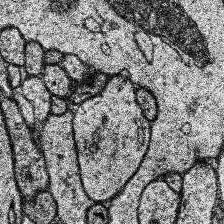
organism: Human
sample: Temporal Lobe